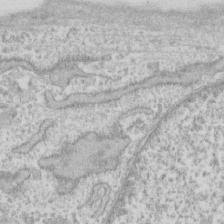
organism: Human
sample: Fibroblast cells